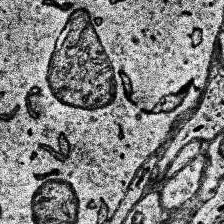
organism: Human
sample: Temporal Lobe